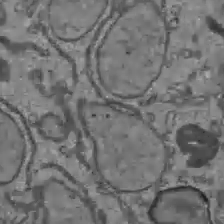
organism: C57BL Mouse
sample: Liver